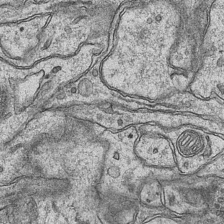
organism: Mouse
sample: CA1 Hippocampus